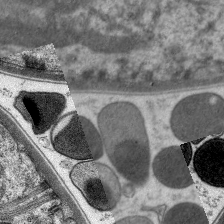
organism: C. elegans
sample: Pharynx